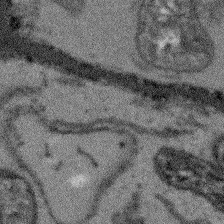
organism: Arabidopsis thaliana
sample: Root tip